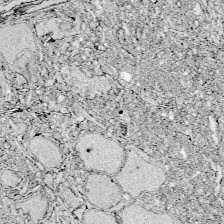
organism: Zebrafish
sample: Whole-Brain